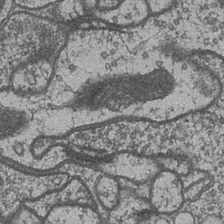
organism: Drosophila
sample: Optic medulla